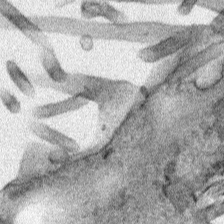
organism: Human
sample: Mitochondria in HCT116 cells